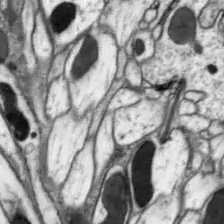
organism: Drosophila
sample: Optic lobe